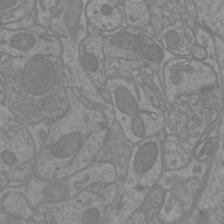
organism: Mouse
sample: Cortical neurons